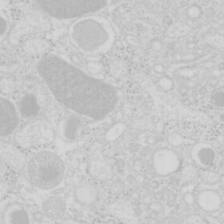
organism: Mouse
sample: Pancreas